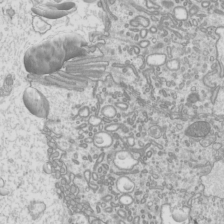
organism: Mouse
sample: Cilia; mouse epididymis